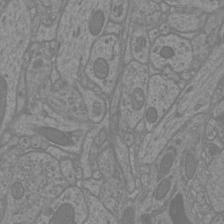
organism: Mouse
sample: Cortical neurons